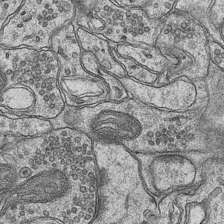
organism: Mouse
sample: CA1 Hippocampus